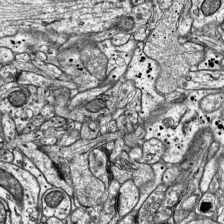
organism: Mouse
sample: Visual Cortex